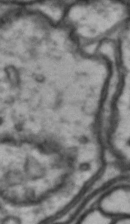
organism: Drosophila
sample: Brain